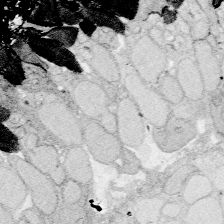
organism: Zebrafish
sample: Whole-Brain